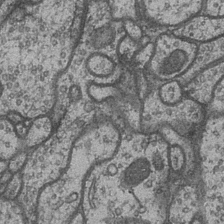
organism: Drosophila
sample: Optic medulla